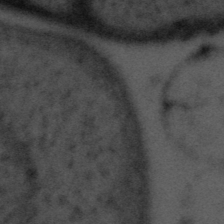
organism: Tuwongella immobilis